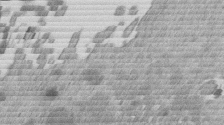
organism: Mouse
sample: Dividing mouse embryo 1 cell stage